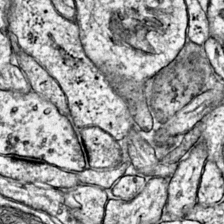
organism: Mouse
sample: Primary visual cortex